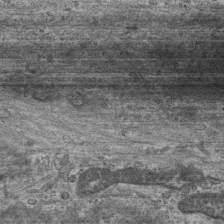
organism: Mouse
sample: Centriole in ependymal cells